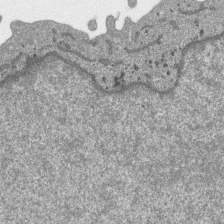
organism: Human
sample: Lung epithelial cells infected with SARS-CoV-2